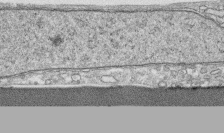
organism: Human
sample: CRL-1474